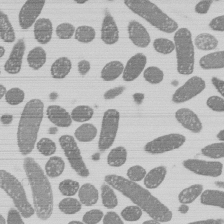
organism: E. coli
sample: Bacterial nucleoid